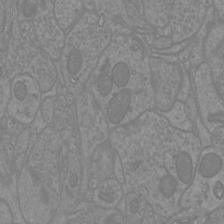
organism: Mouse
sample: Cortical neurons